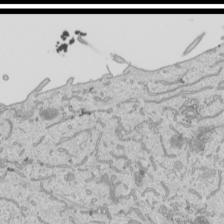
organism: Human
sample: Mitochondria in HCT116 cells